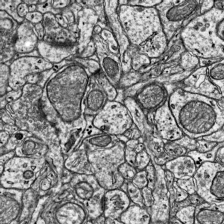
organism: Mouse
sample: Visual Cortex